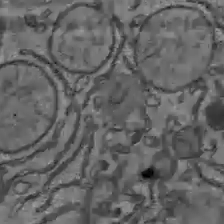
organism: C57BL Mouse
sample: Liver